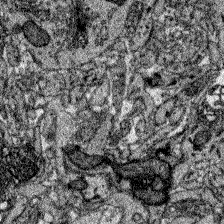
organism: Zebrafish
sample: Larval olfactory bulb